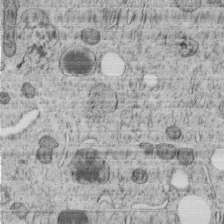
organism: C. elegans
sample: C. elegans embryo early stage